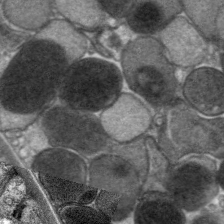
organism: C. elegans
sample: Pharynx